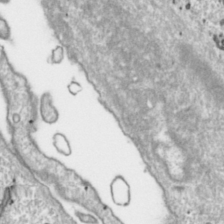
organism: Toxoplasma gondii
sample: Parasites in a vacuole inside a host cell